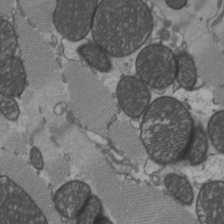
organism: C57BL Mouse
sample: Heart